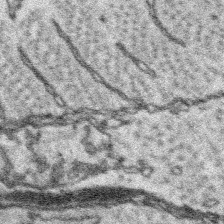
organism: Platynereis dumerilii